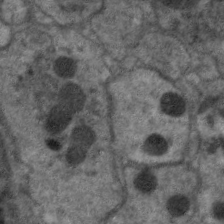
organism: C. elegans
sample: Pharynx